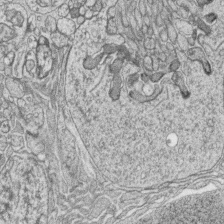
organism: Zebrafish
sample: synaptic ribbons in rod cells and cone cells